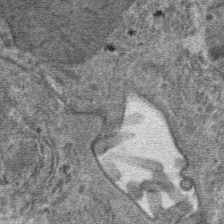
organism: Mouse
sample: Mouse hepatocytes